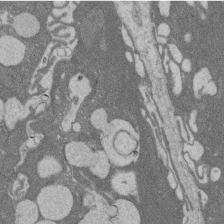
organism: Rat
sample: Salivary granule